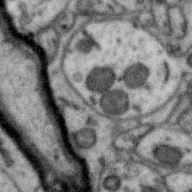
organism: Zebra finch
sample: Brain